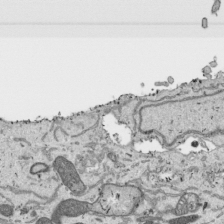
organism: Human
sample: Mitochondria in HCT116 cells